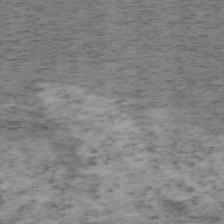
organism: Mouse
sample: OT-I killer T cells with ID8 ovarian cancer cells